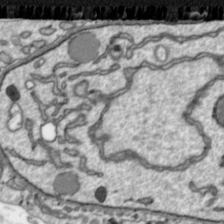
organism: Toxoplasma gondii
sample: Parasites in a vacuole inside a host cell